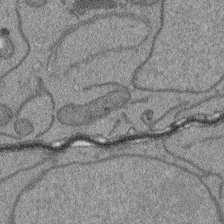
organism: Arabidopsis thaliana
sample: Root tip